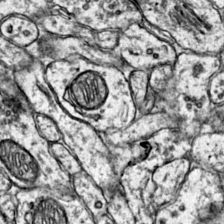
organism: Mouse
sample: Primary visual cortex